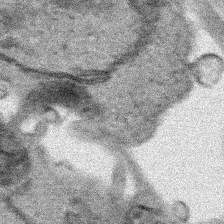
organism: Human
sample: Mitochondria in HCT116 cells